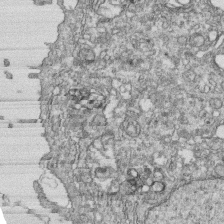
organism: Human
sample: HeLa cell HIV synapse